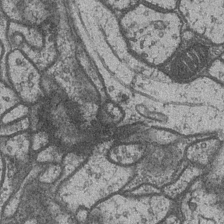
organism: Drosophila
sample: Optic medulla